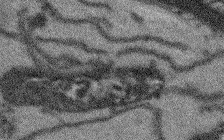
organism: Arabidopsis thaliana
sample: Root tip